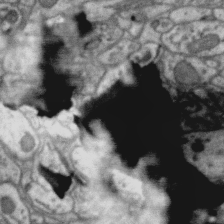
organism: Zebra finch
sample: Brain